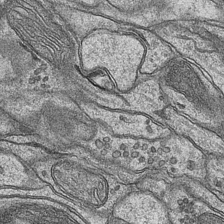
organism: Mouse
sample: CA1 Hippocampus